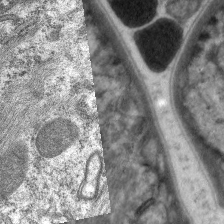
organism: C. elegans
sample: Pharynx